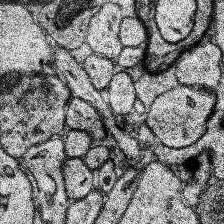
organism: Human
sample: Temporal Lobe